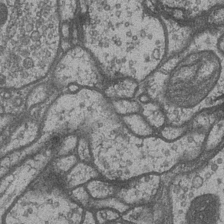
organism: Drosophila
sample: Optic medulla